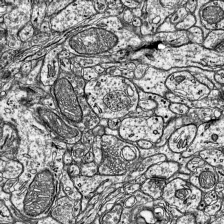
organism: Mouse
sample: Visual Cortex